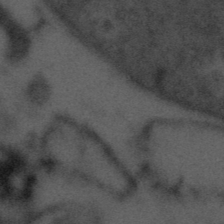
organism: Tuwongella immobilis